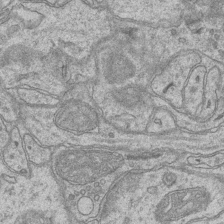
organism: Mouse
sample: CA1 Hippocampus